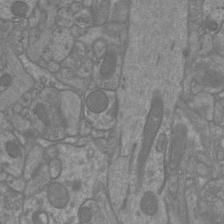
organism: Mouse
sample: Cortical neurons